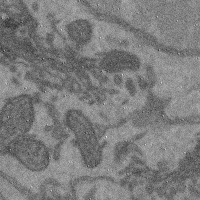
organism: Mouse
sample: Cerebral cortex